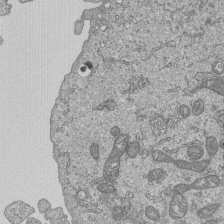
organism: Human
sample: MDA-MB-231 cells